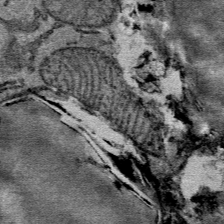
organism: Mouse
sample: Mouse Salivary gland